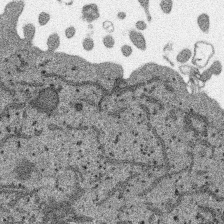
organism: Human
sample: Lung epithelial cells infected with SARS-CoV-2